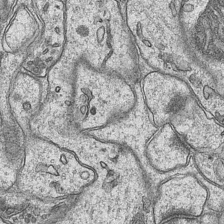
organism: Mouse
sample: CA1 Hippocampus